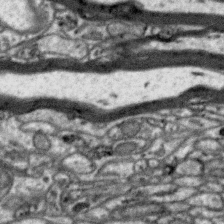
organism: Zebra finch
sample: Brain